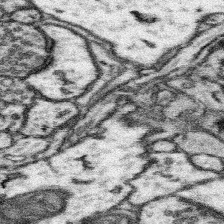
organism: Mouse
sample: Somatosensory cortex neuropil